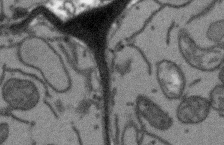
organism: Arabidopsis thaliana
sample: Root tip